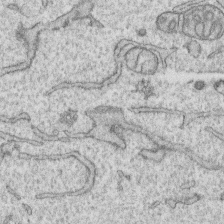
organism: Human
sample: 1205lu cells